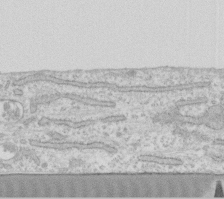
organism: Human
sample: Fibroblast cells